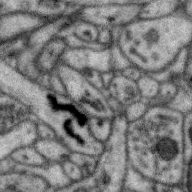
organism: Zebra finch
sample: Brain